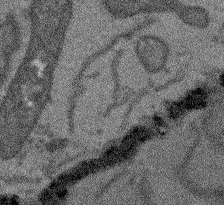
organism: Arabidopsis thaliana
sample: Root tip